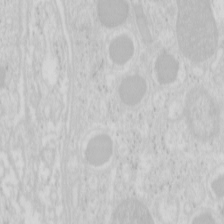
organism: Mouse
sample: Pancreas